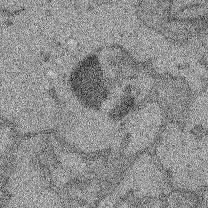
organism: Human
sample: HeLa cells